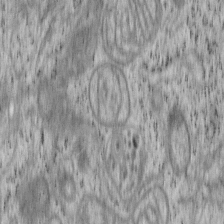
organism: Human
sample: HeLa cells